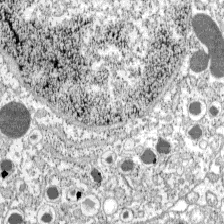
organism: C57BL Mouse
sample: Pancreatic islet